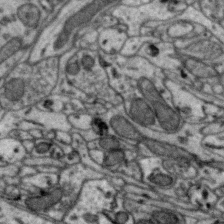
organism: Zebra finch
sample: Brain